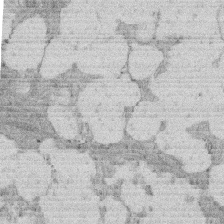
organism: Rat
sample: Salivary granule